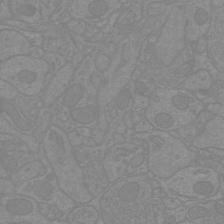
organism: Mouse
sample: Cortical neurons